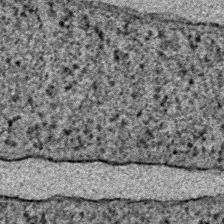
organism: E. coli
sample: E. Coli Bacteria